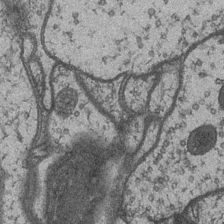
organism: Drosophila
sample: Optic medulla